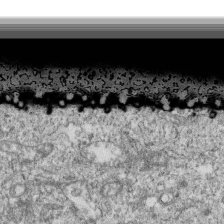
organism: Human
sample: HeLa cell HIV synapse